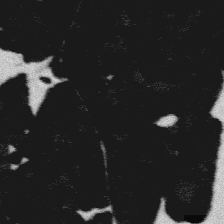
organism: Platynereis dumerilii